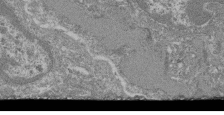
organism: Mouse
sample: Glomerulus